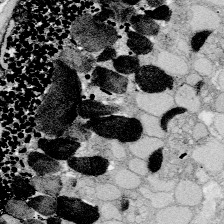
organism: Zebrafish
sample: Whole-Brain